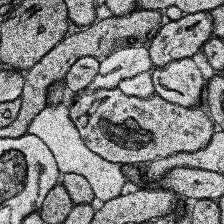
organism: Human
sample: Temporal Lobe